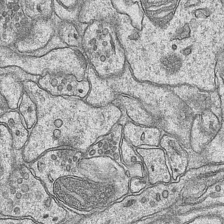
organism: Mouse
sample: CA1 Hippocampus